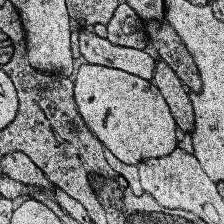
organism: Human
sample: Temporal Lobe